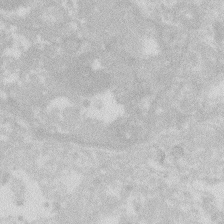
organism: Zebrafish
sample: Macrophage